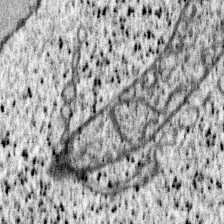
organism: Human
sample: HeLa cells